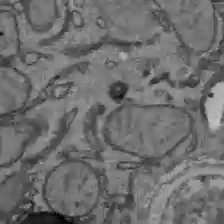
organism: C57BL Mouse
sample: Liver